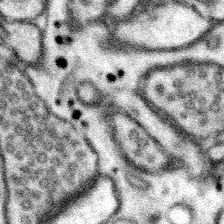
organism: Mouse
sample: Somatosensory cortex neuropil